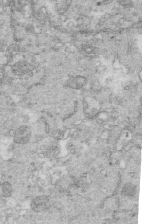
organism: Mouse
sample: Multiciliated cells